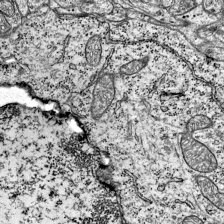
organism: Mouse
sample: Visual Cortex